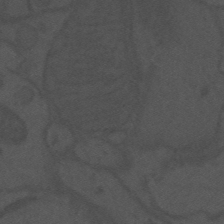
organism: Mouse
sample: Suprachiasmatic nucleus